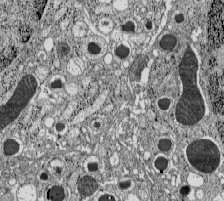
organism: C57BL Mouse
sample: Pancreatic islet